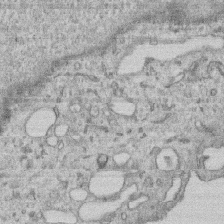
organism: Human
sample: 1205lu cells